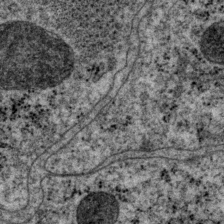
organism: P. pacificus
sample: Pharynx